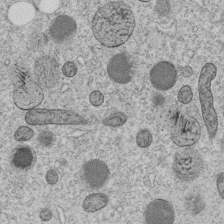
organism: C. elegans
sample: C. elegans embryo early stage